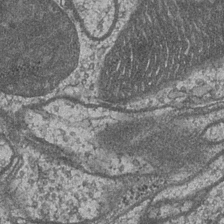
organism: Drosophila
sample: Optic medulla